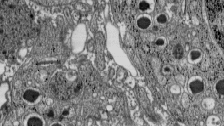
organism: C57BL Mouse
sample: Pancreatic islet